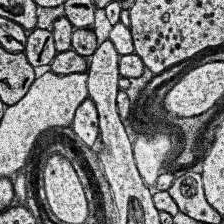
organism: Human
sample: Temporal Lobe